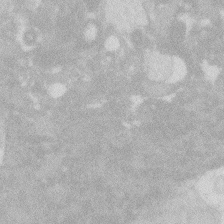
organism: Zebrafish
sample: Macrophage